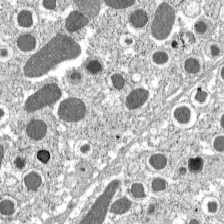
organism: C57BL Mouse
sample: Pancreatic islet